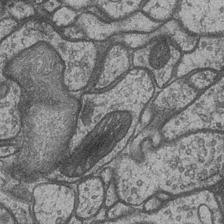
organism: Drosophila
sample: Optic medulla